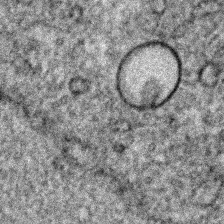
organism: C. elegans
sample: C. elegans embryo